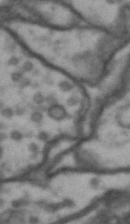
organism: Drosophila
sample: Brain